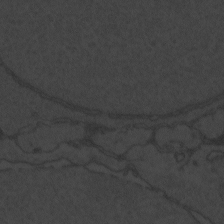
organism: Zebrafish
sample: Macrophage infected with Toxoplasma gondii